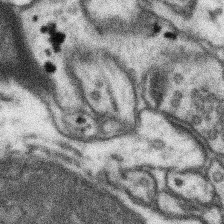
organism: Mouse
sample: Somatosensory cortex neuropil